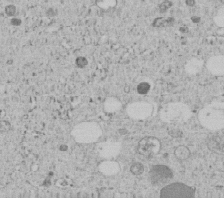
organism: C. elegans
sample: C. elegans embryo early stage